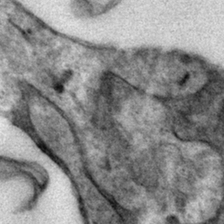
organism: Mouse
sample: Mouse hepatocytes